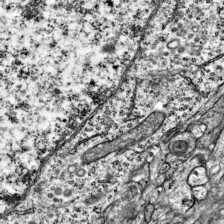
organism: Mouse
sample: Visual Cortex